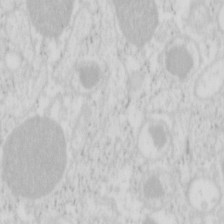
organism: Mouse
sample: Pancreas